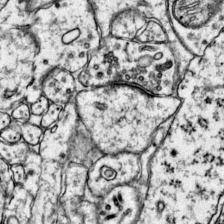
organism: Mouse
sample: Primary visual cortex